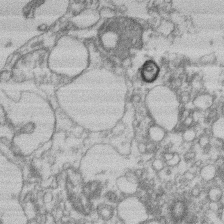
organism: Mouse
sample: T cell stromal cell synapse